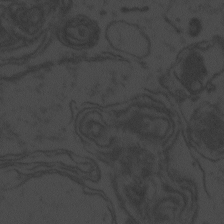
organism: Zebrafish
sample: Macrophage infected with Toxoplasma gondii